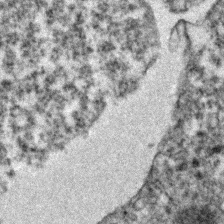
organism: Zebrafish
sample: Zebrafish embryo